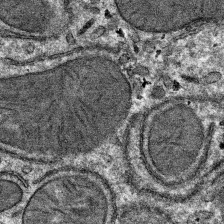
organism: Mouse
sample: Mouse hepatocytes